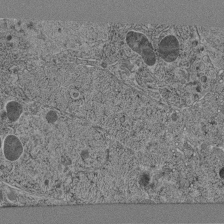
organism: C. elegans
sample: C. elegans pharynx